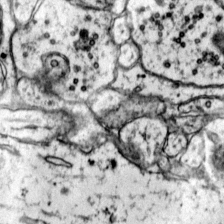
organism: Mouse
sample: Primary visual cortex